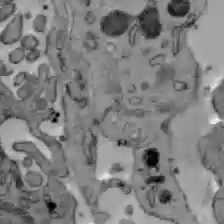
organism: C57BL Mouse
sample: Liver